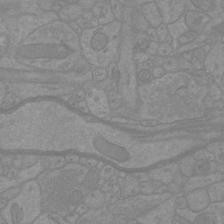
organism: Mouse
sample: Cortical neurons